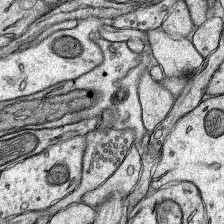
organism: Rat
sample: Hippocampus